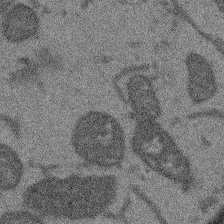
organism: Arabidopsis thaliana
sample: Root tip